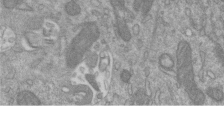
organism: Mouse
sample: ED-1 cell nuclei; centrioles